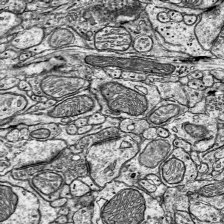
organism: Mouse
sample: Visual Cortex